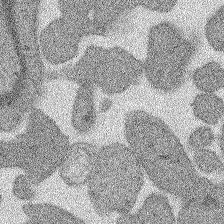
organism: Human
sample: HeLa cells